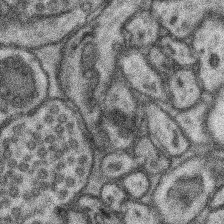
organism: Mouse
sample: Somatosensory cortex neuropil